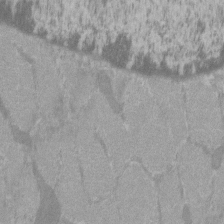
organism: C57BL Mouse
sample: Tibialis anterior muscle cell